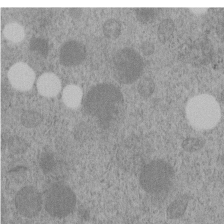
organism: C. elegans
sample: C. elegans embryo early stage